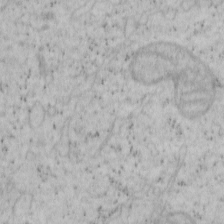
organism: Human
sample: HeLa cells